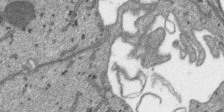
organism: Human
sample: Lung epithelial cells infected with SARS-CoV-2